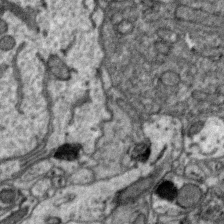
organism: Zebra finch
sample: Brain